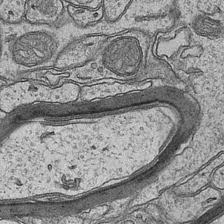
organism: Mouse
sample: CA1 Hippocampus